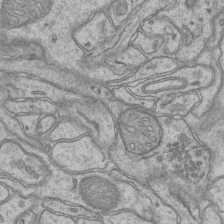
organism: Mouse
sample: CA1 Hippocampus